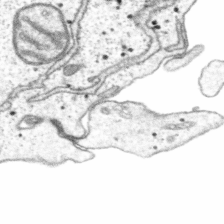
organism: Human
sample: HeLa cells